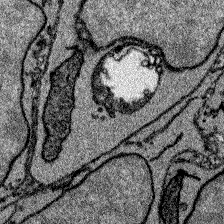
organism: Zebrafish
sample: Larval olfactory bulb